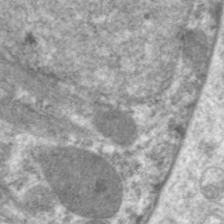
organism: C. elegans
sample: Pharynx